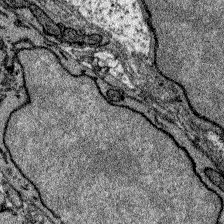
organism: Zebrafish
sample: Larval olfactory bulb